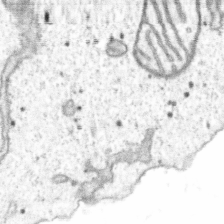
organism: Human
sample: HeLa cells